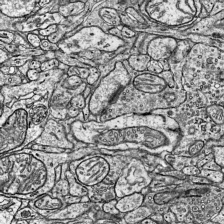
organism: Mouse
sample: Visual Cortex